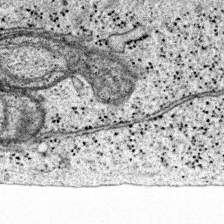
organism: Human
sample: HeLa cells